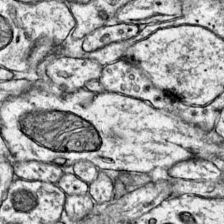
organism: Mouse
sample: Primary visual cortex